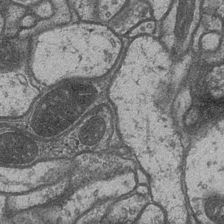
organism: Drosophila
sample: Optic medulla